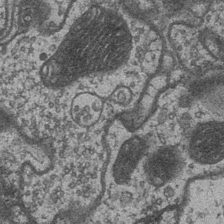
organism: Drosophila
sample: Optic medulla